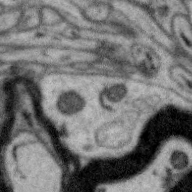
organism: Zebra finch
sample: Brain